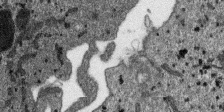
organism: Human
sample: Lung epithelial cells infected with SARS-CoV-2